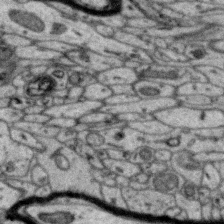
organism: Zebra finch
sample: Brain